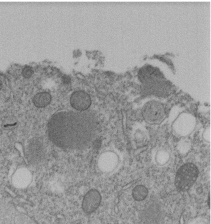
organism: C. elegans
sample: C. elegans embryo early stage